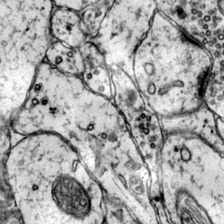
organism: Mouse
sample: Primary visual cortex